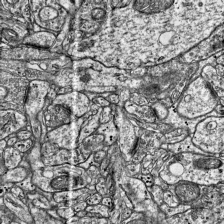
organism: Mouse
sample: Visual Cortex